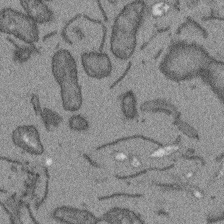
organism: Arabidopsis thaliana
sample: Root tip